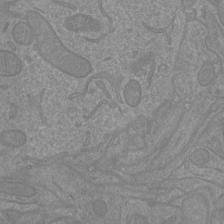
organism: Mouse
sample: Cortical neurons